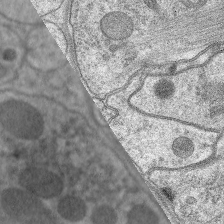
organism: C. elegans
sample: Pharynx